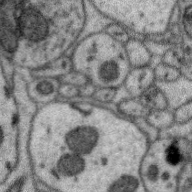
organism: Zebra finch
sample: Brain